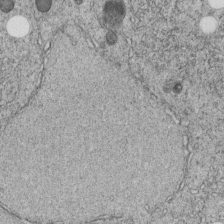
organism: C. elegans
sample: C. elegans embryo early stage